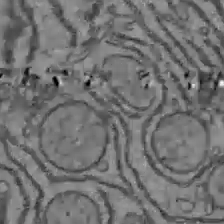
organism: C57BL Mouse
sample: Liver